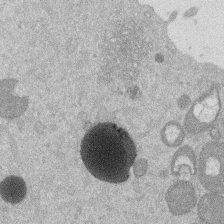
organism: Mouse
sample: Dividing mouse embryo 1 cell stage